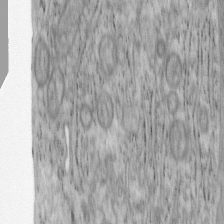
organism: Human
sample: HeLa cells